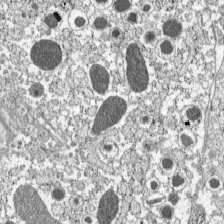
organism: C57BL Mouse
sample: Pancreatic islet